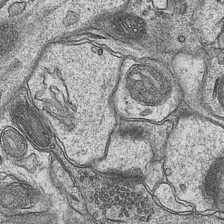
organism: Mouse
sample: CA1 Hippocampus